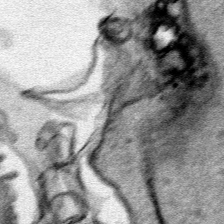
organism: Human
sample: Mitochondria in HCT116 cells